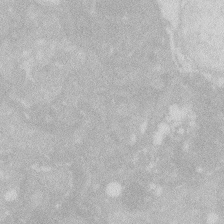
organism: Zebrafish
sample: Macrophage